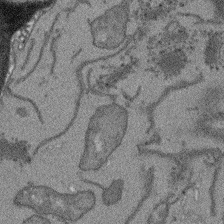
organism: Arabidopsis thaliana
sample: Root tip